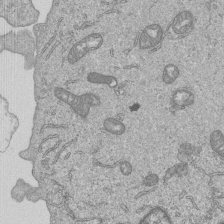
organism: Human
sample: MDA-MB-231 cells